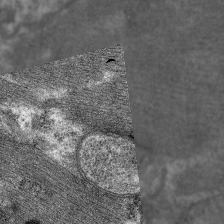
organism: C. elegans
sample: Pharynx